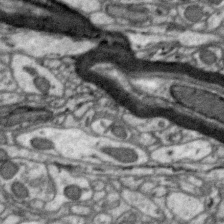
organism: Zebra finch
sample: Brain